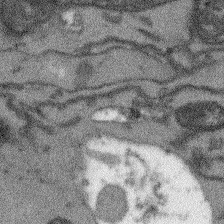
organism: Arabidopsis thaliana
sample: Root tip